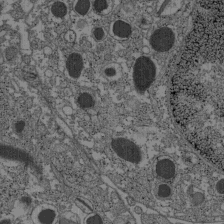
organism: C57BL Mouse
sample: Pancreatic islet